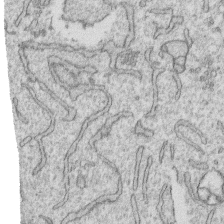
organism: Human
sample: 1205lu cells